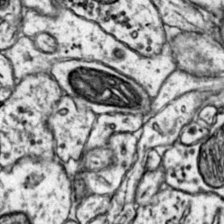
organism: Mouse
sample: Primary visual cortex